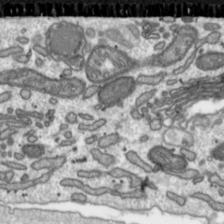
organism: Toxoplasma gondii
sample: Parasites in a vacuole inside a host cell